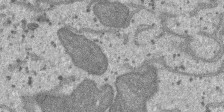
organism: Human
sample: Lung epithelial cells infected with SARS-CoV-2